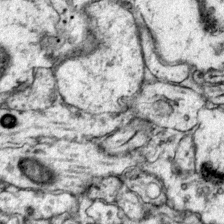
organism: Mouse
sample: Primary visual cortex